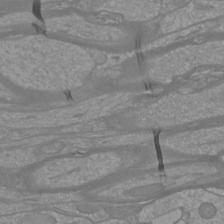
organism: Mouse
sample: Cortical neurons